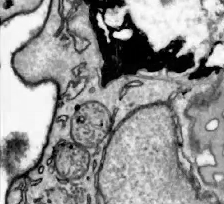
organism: Zebrafish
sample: Actinotrichia fibers